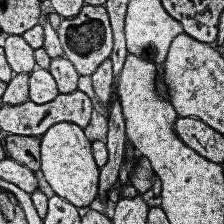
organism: Human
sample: Temporal Lobe